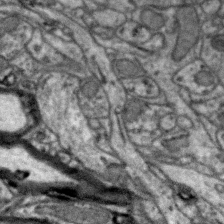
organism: Zebra finch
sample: Brain